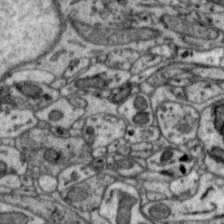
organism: Zebra finch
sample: Brain